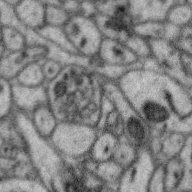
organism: Zebra finch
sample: Brain